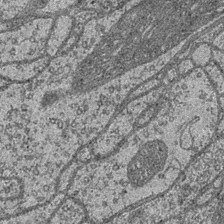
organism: Drosophila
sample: Optic medulla